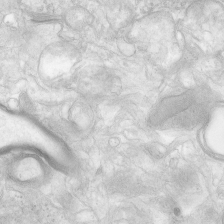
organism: Human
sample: Neocortex